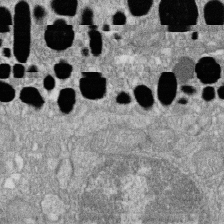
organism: Zebrafish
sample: Cilia; retinal pigment epithelium